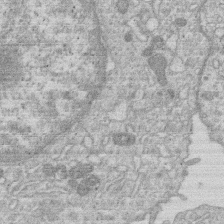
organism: Human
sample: Macrophage cells